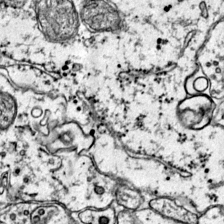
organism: Mouse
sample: Primary visual cortex